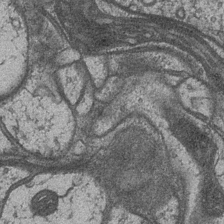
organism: Drosophila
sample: Optic medulla